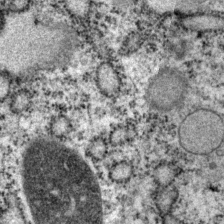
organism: P. pacificus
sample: Pharynx